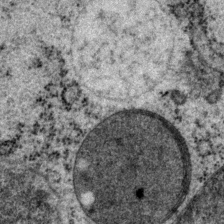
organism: P. pacificus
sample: Pharynx